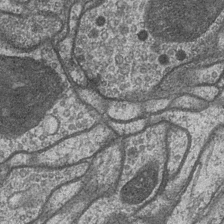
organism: Drosophila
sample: Optic medulla